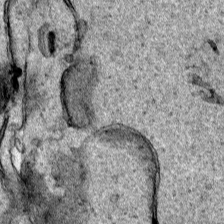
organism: Human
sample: Mitochondria in HCT116 cells